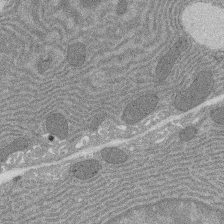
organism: Rat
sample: Salivary granule